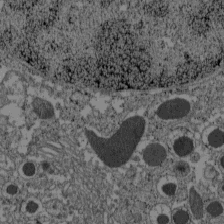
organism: C57BL Mouse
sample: Pancreatic islet